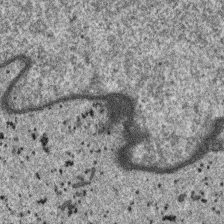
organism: Human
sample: Lung epithelial cells infected with SARS-CoV-2